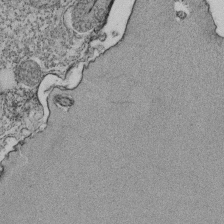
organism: Tetrahymena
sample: Cilia in tetrahymena